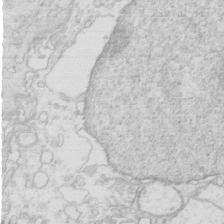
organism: Mouse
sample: Multiciliated cells